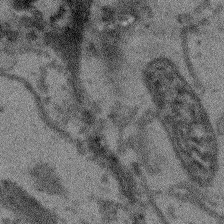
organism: Arabidopsis thaliana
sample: Root tip